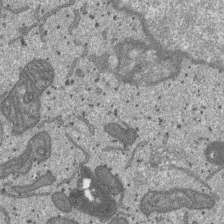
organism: Human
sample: Lung epithelial cells infected with SARS-CoV-2